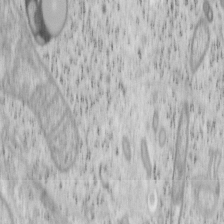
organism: Human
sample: HeLa cells